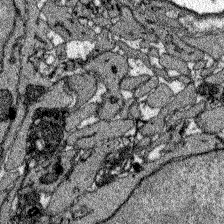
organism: Zebrafish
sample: Larval olfactory bulb